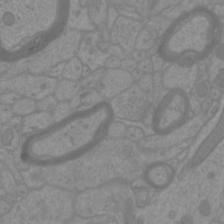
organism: Mouse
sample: Cortical neurons